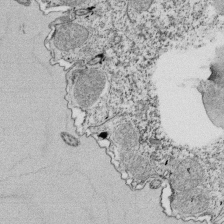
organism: Tetrahymena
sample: Cilia in tetrahymena